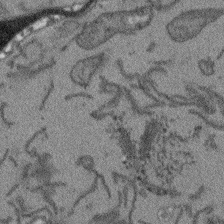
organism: Arabidopsis thaliana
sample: Root tip